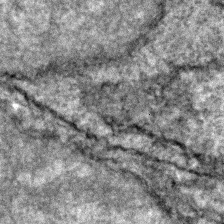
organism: Zebrafish